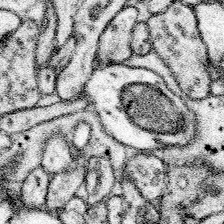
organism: Mouse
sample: Somatosensory cortex neuropil